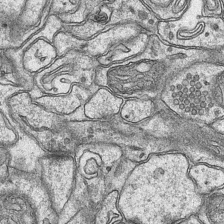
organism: Mouse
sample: CA1 Hippocampus